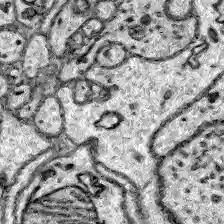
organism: Zebrafish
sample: Brain